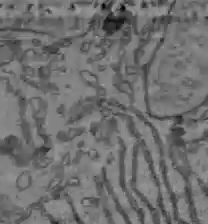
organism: C57BL Mouse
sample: Liver